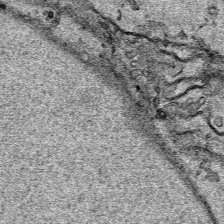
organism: Human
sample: Mitochondria in HCT116 cells